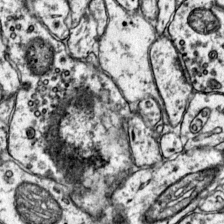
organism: Mouse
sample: Primary visual cortex